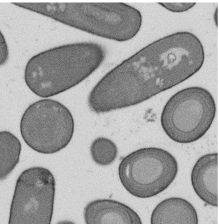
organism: B. subtilis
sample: Bacterial spore